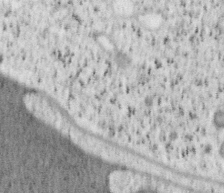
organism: Mouse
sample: OT-I killer T cells with ID8 ovarian cancer cells